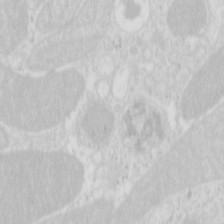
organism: Mouse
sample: Pancreas